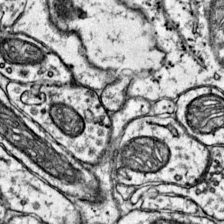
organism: Mouse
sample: Primary visual cortex